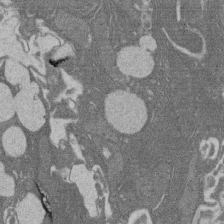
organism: Rat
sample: Salivary granule